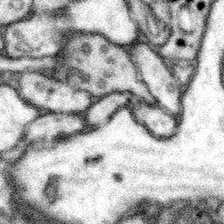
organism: Mouse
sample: Somatosensory cortex neuropil